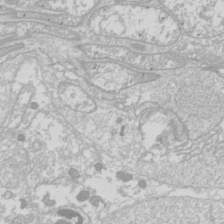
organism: Drosophila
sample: Cell division; meiosis; drosophila spermatocytes